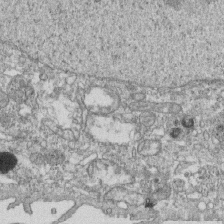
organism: Human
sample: HeLa cell HIV synapse